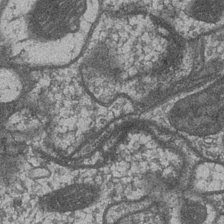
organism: Drosophila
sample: Optic medulla